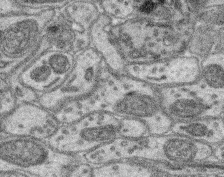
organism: Mouse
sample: Retina